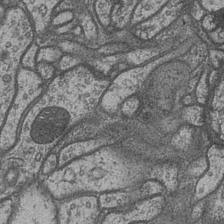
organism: Drosophila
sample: Optic medulla